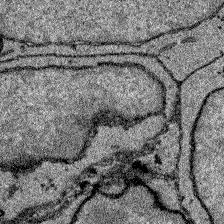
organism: Zebrafish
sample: Larval olfactory bulb